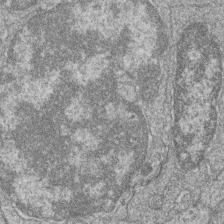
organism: Zebrafish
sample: Cilia; retinal pigment epithelium